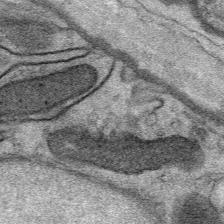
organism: Mouse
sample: Mouse Salivary gland